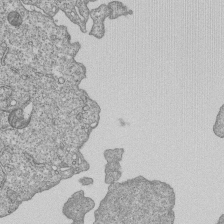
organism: Human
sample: MDA-MB-231 cells